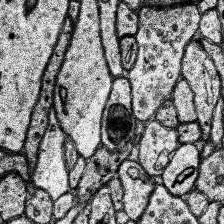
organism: Human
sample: Temporal Lobe